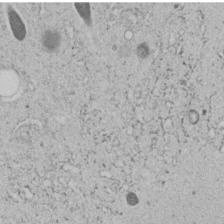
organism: C. elegans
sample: C. elegans embryo early stage